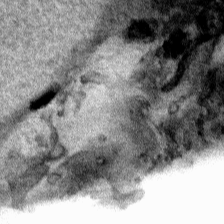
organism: Human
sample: Mitochondria in HCT116 cells